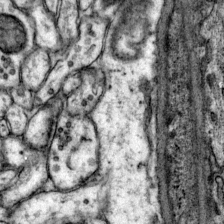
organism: Mouse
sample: Primary visual cortex